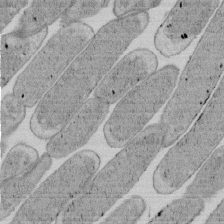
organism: E. coli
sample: Bacterial nucleoid